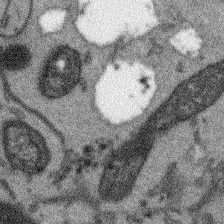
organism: Arabidopsis thaliana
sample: Root tip